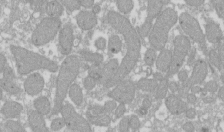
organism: Xenopus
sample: Cilia; centrioles in frog embryo cells